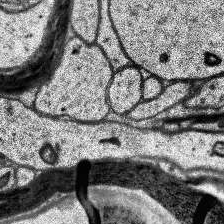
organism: Human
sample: Temporal Lobe